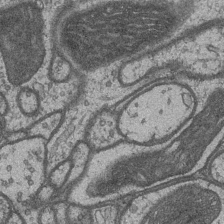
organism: Drosophila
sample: Optic medulla